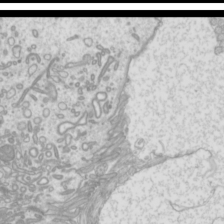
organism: Mouse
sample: Cilia; mouse epididymis